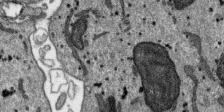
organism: Human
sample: Lung epithelial cells, uninfected (mock) control